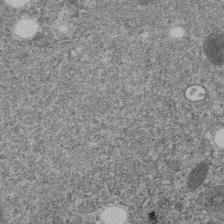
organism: C. elegans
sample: C. elegans embryo early stage